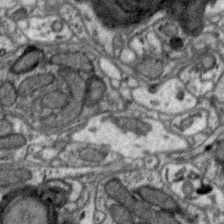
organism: Zebra finch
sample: Brain